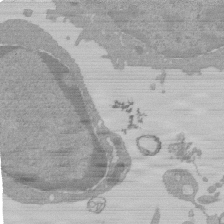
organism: Mouse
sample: Activated Pmel transgenic CD8+ T Cells